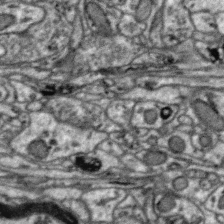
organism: Zebra finch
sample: Brain